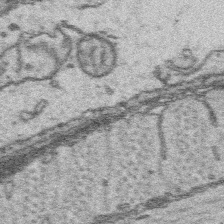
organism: Platynereis dumerilii